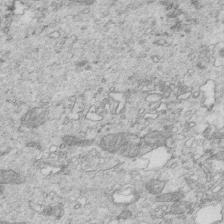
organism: Mouse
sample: Multiciliated cells